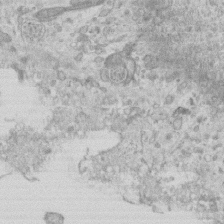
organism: Mouse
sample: Centriole in ependymal cells